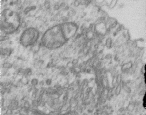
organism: Human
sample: Centriole in RPE cells